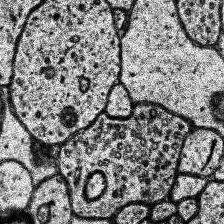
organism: Human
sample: Temporal Lobe